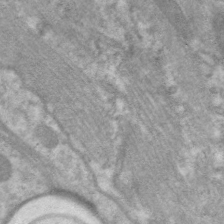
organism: C. elegans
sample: Pharynx